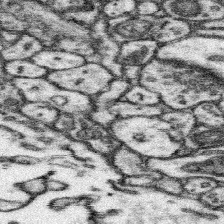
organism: Mouse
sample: Somatosensory cortex neuropil